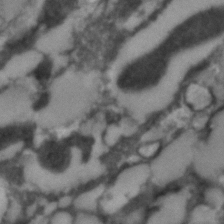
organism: C. elegans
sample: C. elegans embryo